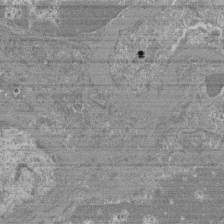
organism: Mouse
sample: Glomerulus